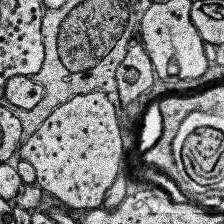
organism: Human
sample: Temporal Lobe